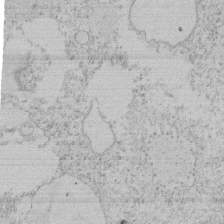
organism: Tetrahymena